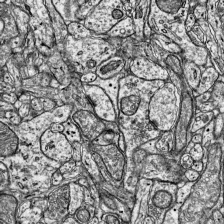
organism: Mouse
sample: Visual Cortex